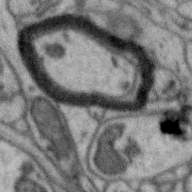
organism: Zebra finch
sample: Brain